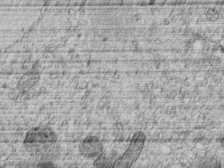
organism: C. elegans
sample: C. elegans embryo early stage